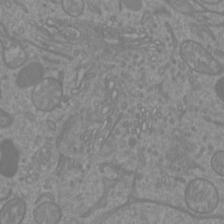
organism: Mouse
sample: Cortical neurons